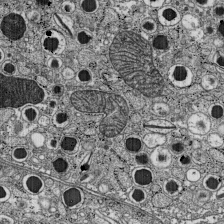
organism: C57BL Mouse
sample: Pancreatic islet